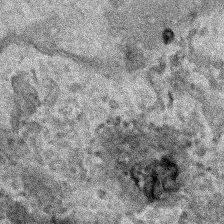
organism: Human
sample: Mitochondria in HCT116 cells